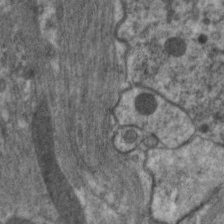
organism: C. elegans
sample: Pharynx